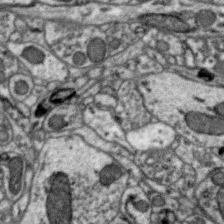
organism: Zebra finch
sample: Brain